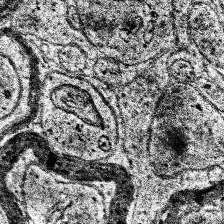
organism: Human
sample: Temporal Lobe